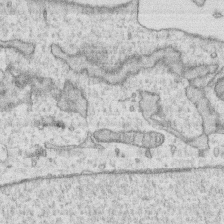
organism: Human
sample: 1205lu cells